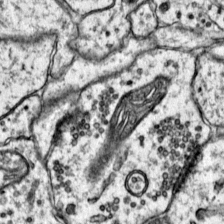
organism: Mouse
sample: Primary visual cortex